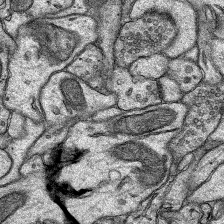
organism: Rat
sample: Hippocampus